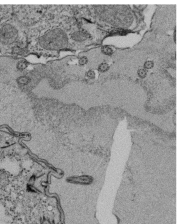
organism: Tetrahymena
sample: Cilia in tetrahymena